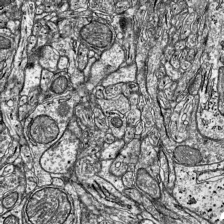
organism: Mouse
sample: Visual Cortex